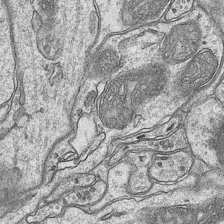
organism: Mouse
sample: CA1 Hippocampus